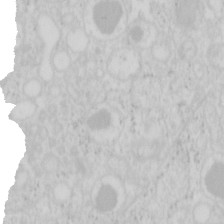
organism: Mouse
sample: Pancreas